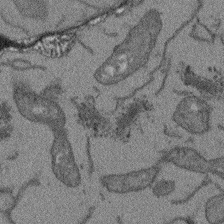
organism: Arabidopsis thaliana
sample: Root tip